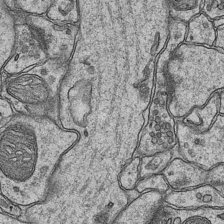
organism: Mouse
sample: CA1 Hippocampus